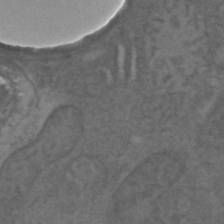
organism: C. elegans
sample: C. elegans embryo